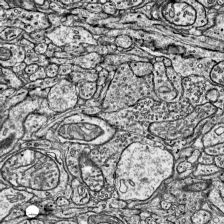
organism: Mouse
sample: Visual Cortex